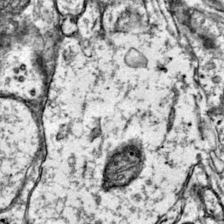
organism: Mouse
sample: Primary visual cortex